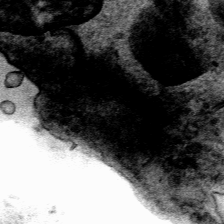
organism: Human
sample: Mitochondria in HCT116 cells